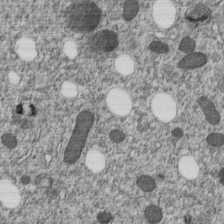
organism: C. elegans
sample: C. elegans embryo early stage